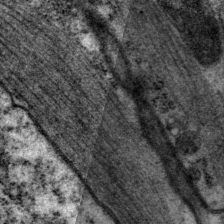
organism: P. pacificus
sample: Pharynx